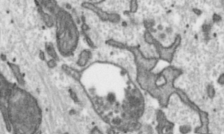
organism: Toxoplasma gondii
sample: Parasites in a vacuole inside a host cell